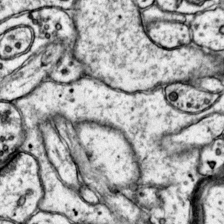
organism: Mouse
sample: Primary visual cortex